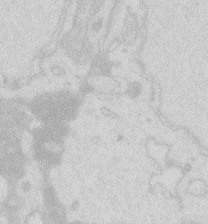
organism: Zebrafish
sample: Macrophage